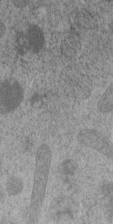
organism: C. elegans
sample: C. elegans embryo early stage